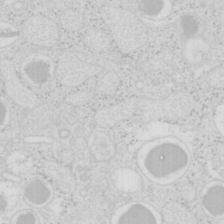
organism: Mouse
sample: Pancreas